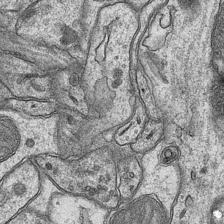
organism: Mouse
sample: CA1 Hippocampus